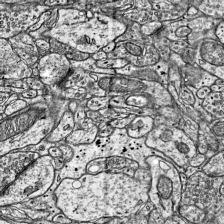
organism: Mouse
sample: Visual Cortex